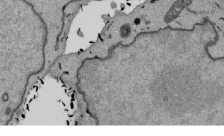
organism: Mouse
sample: ED-1 cell nuclei; centrioles